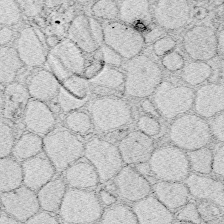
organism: Zebrafish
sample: Whole-Brain